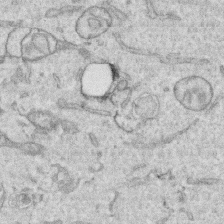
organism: Human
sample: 1205lu cells